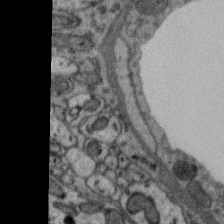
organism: Zebra finch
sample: Brain